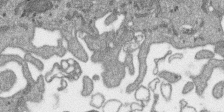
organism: Human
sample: Lung epithelial cells infected with SARS-CoV-2